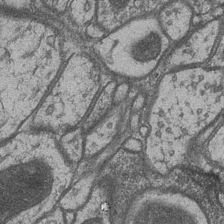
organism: Drosophila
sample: Optic medulla